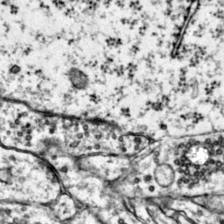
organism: Mouse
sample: Primary visual cortex